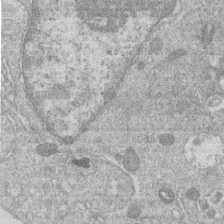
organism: Human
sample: Macrophage cells